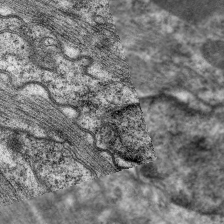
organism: C. elegans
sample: Pharynx